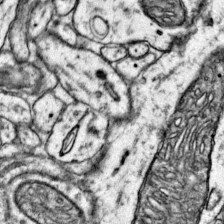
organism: Mouse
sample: Primary visual cortex